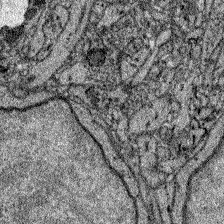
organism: Zebrafish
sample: Larval olfactory bulb